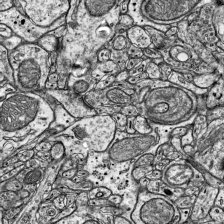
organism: Mouse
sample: Visual Cortex